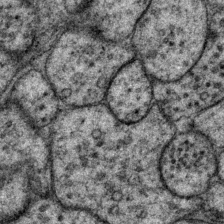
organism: P. pacificus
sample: Pharynx